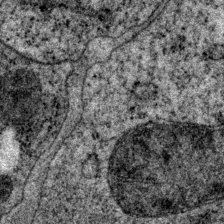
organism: P. pacificus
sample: Pharynx